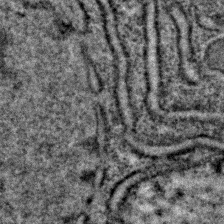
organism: C. elegans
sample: C. elegans embryo